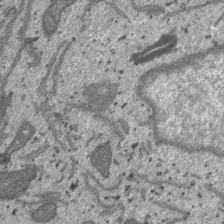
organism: Human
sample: Lung epithelial cells infected with SARS-CoV-2